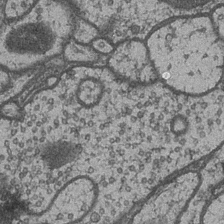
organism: Drosophila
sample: Optic medulla